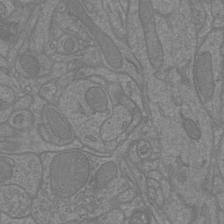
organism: Mouse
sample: Cortical neurons